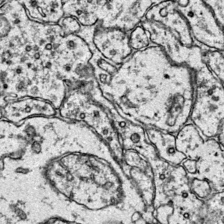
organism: Mouse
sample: Primary visual cortex